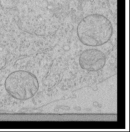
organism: Human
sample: Mitochondria in HCT116 cells